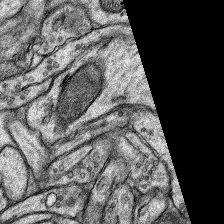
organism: Rat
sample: Hippocampus